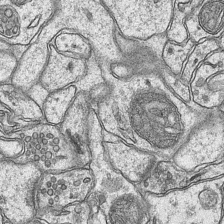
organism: Mouse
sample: CA1 Hippocampus